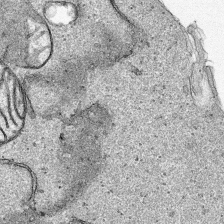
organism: Human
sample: Mitochondria in HCT116 cells